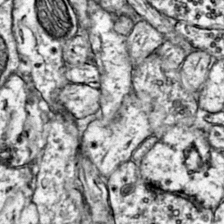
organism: Mouse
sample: Primary visual cortex